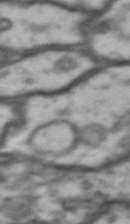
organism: Drosophila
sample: Brain